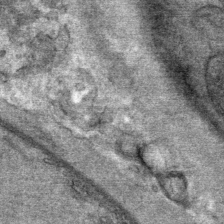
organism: Mouse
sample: Mouse Salivary gland